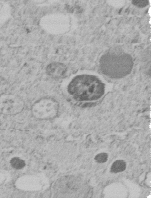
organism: C. elegans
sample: C. elegans embryo early stage